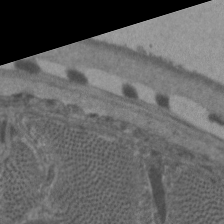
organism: C. elegans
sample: Pharynx